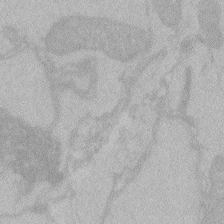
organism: Zebrafish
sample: Macrophage infected with Toxoplasma gondii